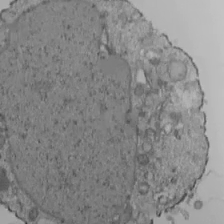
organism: Human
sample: Jurkat E6-1 and CD4 cells